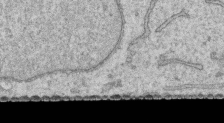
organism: Human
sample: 1205lu cells